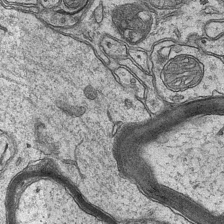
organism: Mouse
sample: CA1 Hippocampus